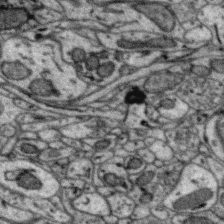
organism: Zebra finch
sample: Brain